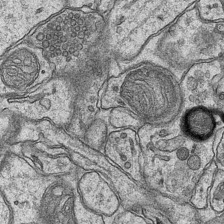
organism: Mouse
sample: CA1 Hippocampus